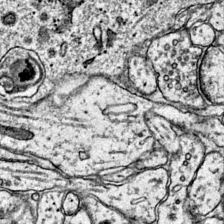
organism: Mouse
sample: Primary visual cortex